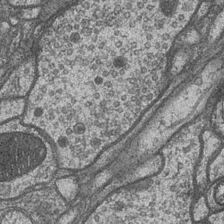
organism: Drosophila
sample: Optic medulla